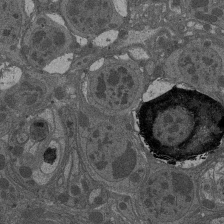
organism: Drosophila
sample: Antenna